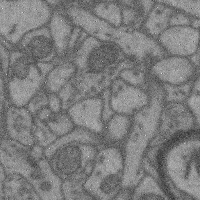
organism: Mouse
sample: Cerebral cortex